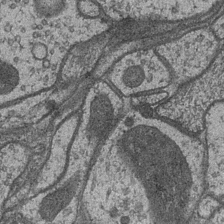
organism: Drosophila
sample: Optic medulla